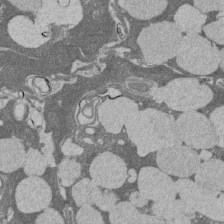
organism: Rat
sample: Salivary granule